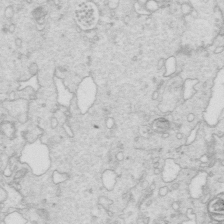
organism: Mouse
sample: Multiciliated cells